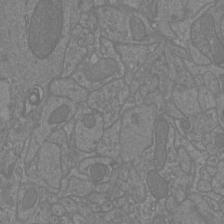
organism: Mouse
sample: Cortical neurons